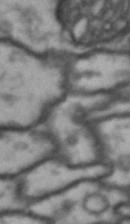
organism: Drosophila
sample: Brain